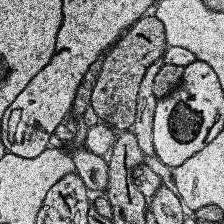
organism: Human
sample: Temporal Lobe